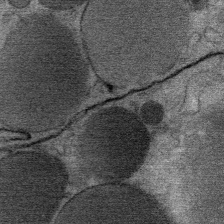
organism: Mouse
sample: Mouse Salivary gland